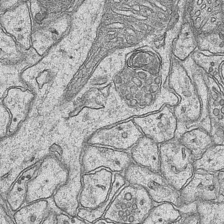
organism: Mouse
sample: CA1 Hippocampus